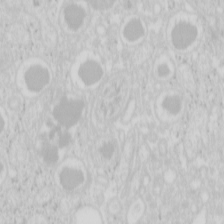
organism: Mouse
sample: Pancreas